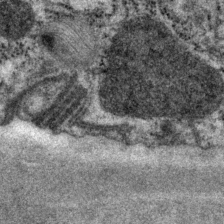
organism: P. pacificus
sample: Pharynx